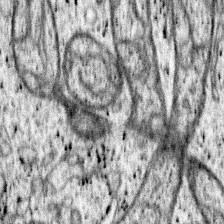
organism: Human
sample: HeLa cells